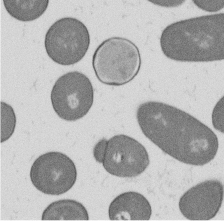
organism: B. subtilis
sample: Bacterial spore